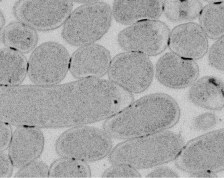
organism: E. coli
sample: Bacterial nucleoid